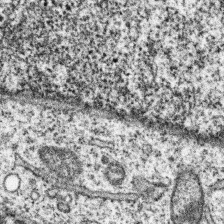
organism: Human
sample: HeLa cells